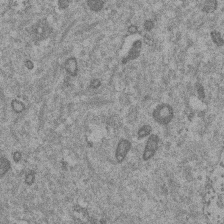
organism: Mouse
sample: Dividing mouse embryo 1 cell stage